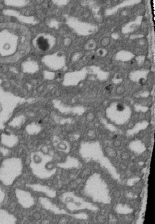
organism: Drosophila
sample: Nephrocyte